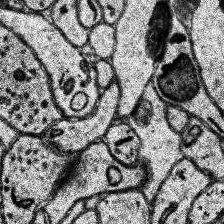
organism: Human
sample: Temporal Lobe